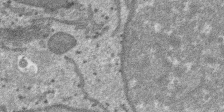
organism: Human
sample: Lung epithelial cells infected with SARS-CoV-2